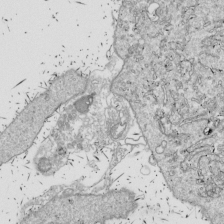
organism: Drosophila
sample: Cell division; meiosis; drosophila spermatocytes